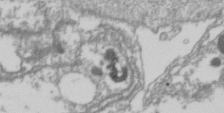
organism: Drosophila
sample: Cell division; meiosis; drosophila spermatocytes